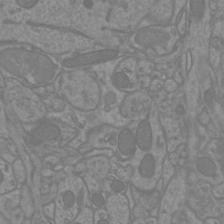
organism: Mouse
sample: Cortical neurons